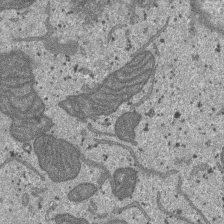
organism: Human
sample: Lung epithelial cells infected with SARS-CoV-2